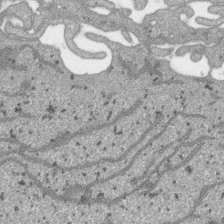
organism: Human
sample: Lung epithelial cells infected with SARS-CoV-2